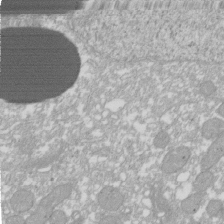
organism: Xenopus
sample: Cilia; centrioles in frog embryo cells